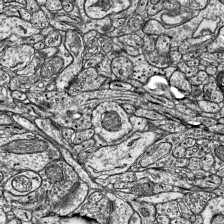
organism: Mouse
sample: Visual Cortex